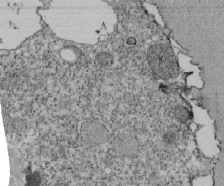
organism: Tetrahymena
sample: Cilia in tetrahymena